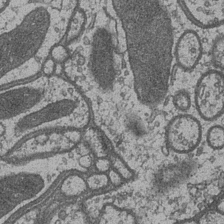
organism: Drosophila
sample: Optic medulla